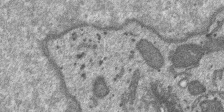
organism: Human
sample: Lung epithelial cells infected with SARS-CoV-2